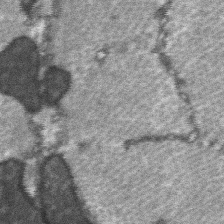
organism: C57BL Mouse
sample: Soleus